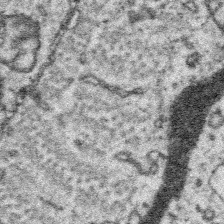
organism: Platynereis dumerilii